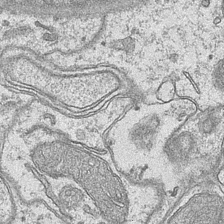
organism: Mouse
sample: CA1 Hippocampus